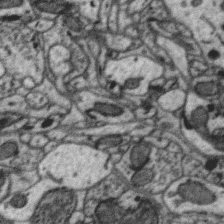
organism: Zebra finch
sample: Brain